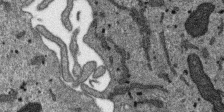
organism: Human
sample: Lung epithelial cells infected with SARS-CoV-2